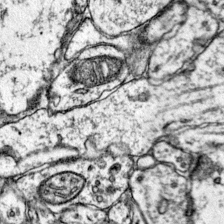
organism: Mouse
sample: Primary visual cortex